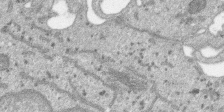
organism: Human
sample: Lung epithelial cells infected with SARS-CoV-2